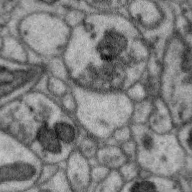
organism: Zebra finch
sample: Brain